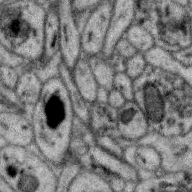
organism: Zebra finch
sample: Brain